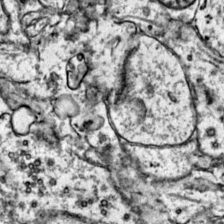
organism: Mouse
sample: Primary visual cortex